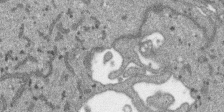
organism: Human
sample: Lung epithelial cells infected with SARS-CoV-2